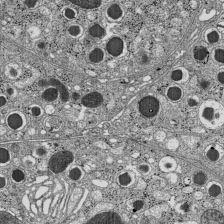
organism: C57BL Mouse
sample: Pancreatic islet